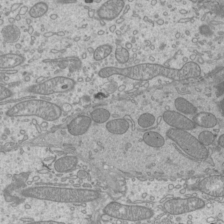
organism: Mouse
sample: Cilia; mouse epididymis